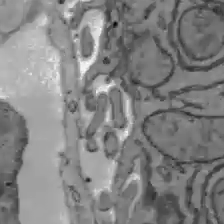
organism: C57BL Mouse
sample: Liver